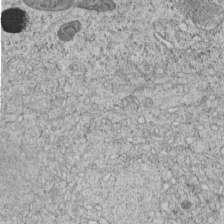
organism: C. elegans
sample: C. elegans embryo early stage